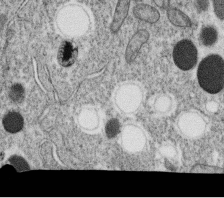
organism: C. elegans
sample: C. elegans oocyte; sperm cells